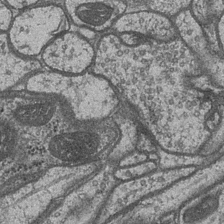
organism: Drosophila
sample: Optic medulla